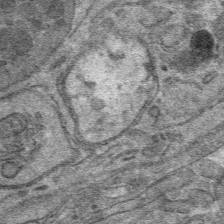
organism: Mouse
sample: Mouse hepatocytes